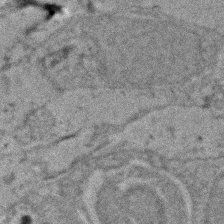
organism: Zebrafish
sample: Zebrafish embryo